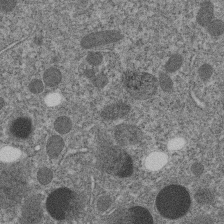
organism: C. elegans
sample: C. elegans embryo early stage